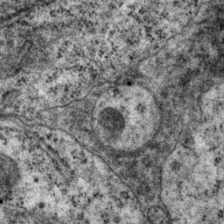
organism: P. pacificus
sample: Pharynx